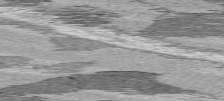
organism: C57BL Mouse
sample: Heart